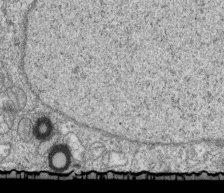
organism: Human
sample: HeLa cell HIV synapse